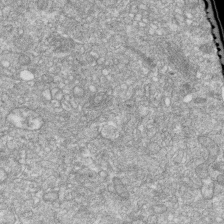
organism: Human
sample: HeLa cell HIV synapse